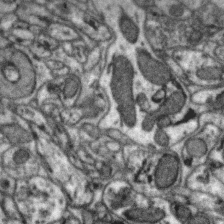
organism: Zebra finch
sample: Brain